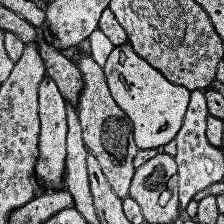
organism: Human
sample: Temporal Lobe